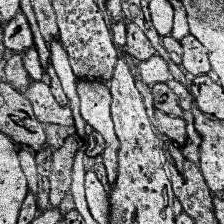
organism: Human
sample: Temporal Lobe